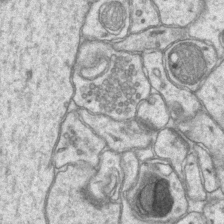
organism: Mouse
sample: CA1 Hippocampus